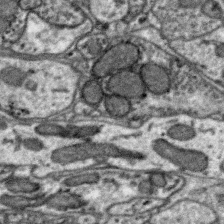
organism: Zebra finch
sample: Brain